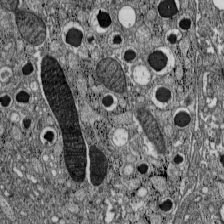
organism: C57BL Mouse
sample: Pancreatic islet